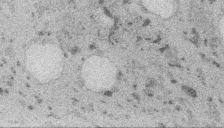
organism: Embia sp.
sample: Silk gland